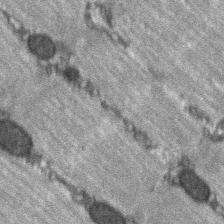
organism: C57BL Mouse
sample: Soleus